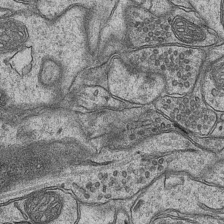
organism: Mouse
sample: CA1 Hippocampus